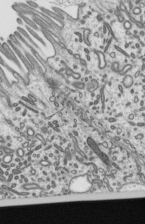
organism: Mouse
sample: Mouse epididymis efferent ductule cilia